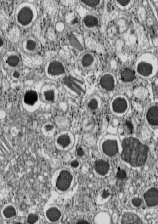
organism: C57BL Mouse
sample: Pancreatic islet